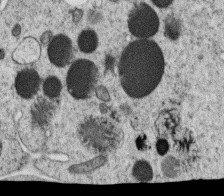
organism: C. elegans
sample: C. elegans oocyte; sperm cells